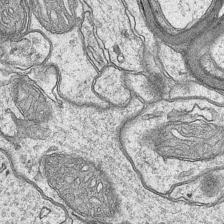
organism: Mouse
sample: CA1 Hippocampus